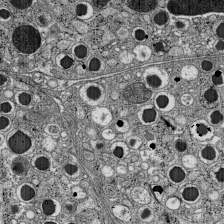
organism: C57BL Mouse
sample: Pancreatic islet